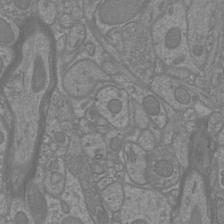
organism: Mouse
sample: Cortical neurons